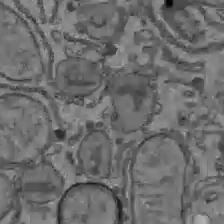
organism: C57BL Mouse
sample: Liver